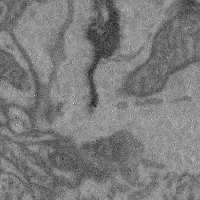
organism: Mouse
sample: Cerebral cortex